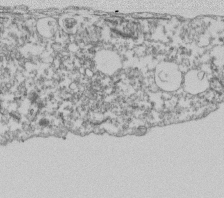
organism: Dictyostelium discoideum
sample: Dictyostelium multivesicular bodies